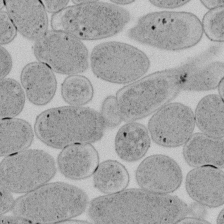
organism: E. coli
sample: Bacterial nucleoid